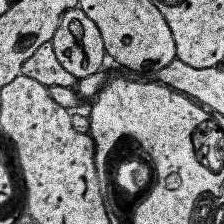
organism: Human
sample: Temporal Lobe